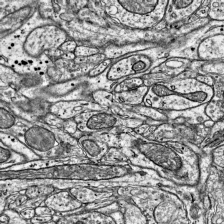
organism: Mouse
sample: Visual Cortex